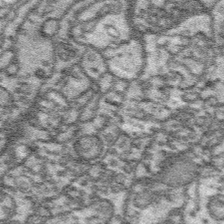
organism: Platynereis dumerilii